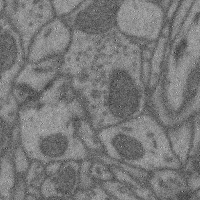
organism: Mouse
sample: Cerebral cortex